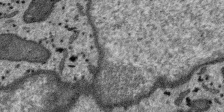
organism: Human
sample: Lung epithelial cells, uninfected (mock) control